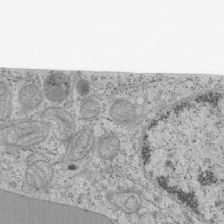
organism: Human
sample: HeLa cells